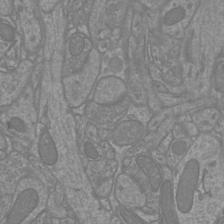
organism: Mouse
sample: Cortical neurons